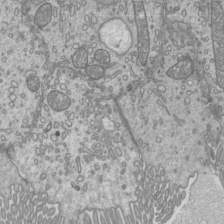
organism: Mouse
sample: Cilia; mouse epididymis